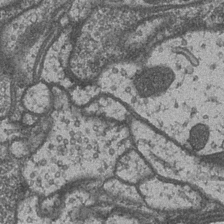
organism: Drosophila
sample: Optic medulla